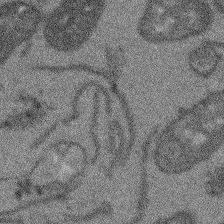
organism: Arabidopsis thaliana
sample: Root tip